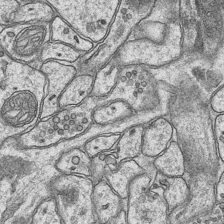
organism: Mouse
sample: CA1 Hippocampus